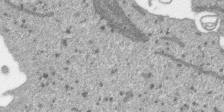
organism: Human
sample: Lung epithelial cells infected with SARS-CoV-2